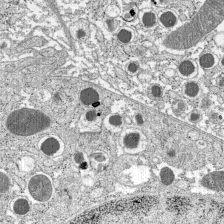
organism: C57BL Mouse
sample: Pancreatic islet